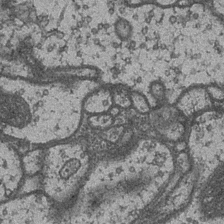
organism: Drosophila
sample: Optic medulla